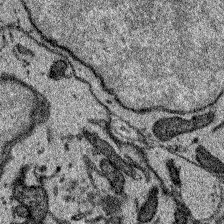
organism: Zebrafish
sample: Larval olfactory bulb